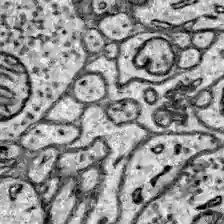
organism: Zebrafish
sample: Brain